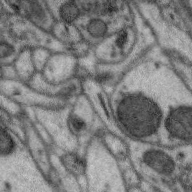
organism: Zebra finch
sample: Brain